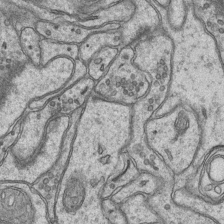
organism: Mouse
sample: CA1 Hippocampus